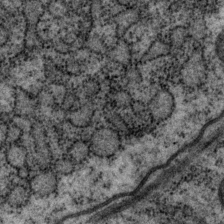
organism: P. pacificus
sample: Pharynx